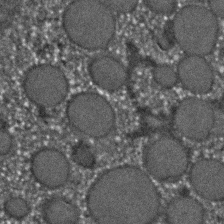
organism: C. elegans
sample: C. elegans embryo